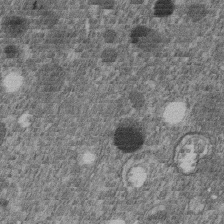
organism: C. elegans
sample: C. elegans embryo early stage